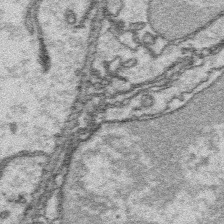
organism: Platynereis dumerilii